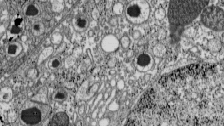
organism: C57BL Mouse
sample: Pancreatic islet